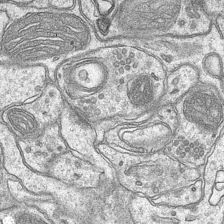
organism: Mouse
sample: CA1 Hippocampus